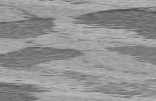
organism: C57BL Mouse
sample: Heart